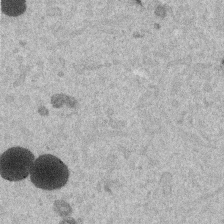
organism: Mouse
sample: Dividing mouse embryo 1 cell stage